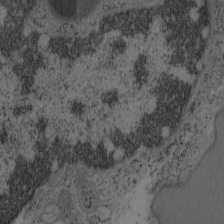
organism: Mouse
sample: OT-I killer T cells with ID8 ovarian cancer cells